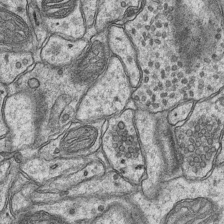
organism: Mouse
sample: CA1 Hippocampus